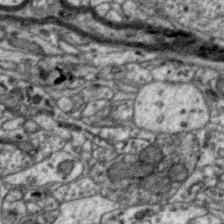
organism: Zebra finch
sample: Brain